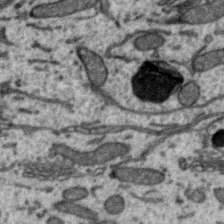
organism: Zebra finch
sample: Brain